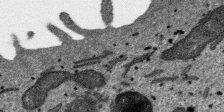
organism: Human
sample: Lung epithelial cells, uninfected (mock) control